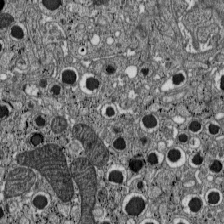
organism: C57BL Mouse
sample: Pancreatic islet